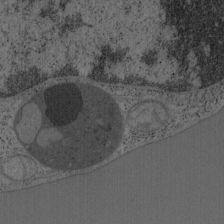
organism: Mouse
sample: OT-I killer T cells with ID8 ovarian cancer cells